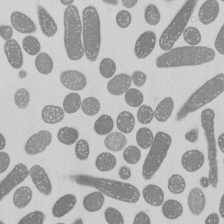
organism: E. coli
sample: Bacterial nucleoid